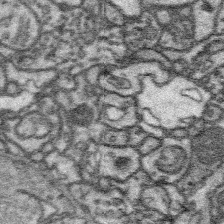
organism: Platynereis dumerilii